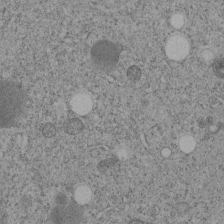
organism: C. elegans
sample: C. elegans embryo early stage